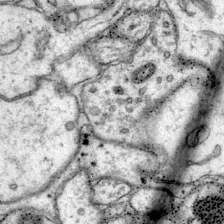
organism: Mouse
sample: Primary visual cortex